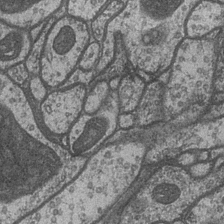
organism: Drosophila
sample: Optic medulla